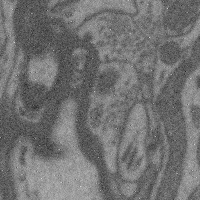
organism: Mouse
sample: Cerebral cortex